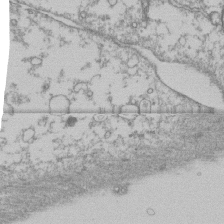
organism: Human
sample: Fibroblast cells